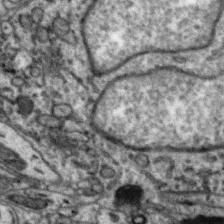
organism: Zebra finch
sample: Brain